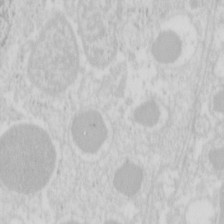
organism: Mouse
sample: Pancreas